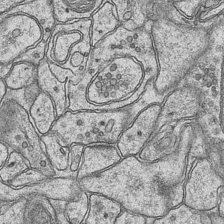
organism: Mouse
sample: CA1 Hippocampus